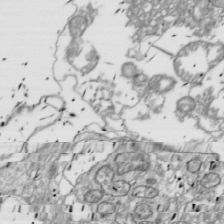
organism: Drosophila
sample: Cell division; meiosis; drosophila spermatocytes